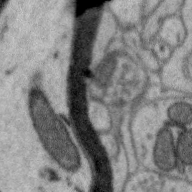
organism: Zebra finch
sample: Brain